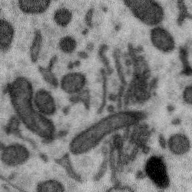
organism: Zebra finch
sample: Brain